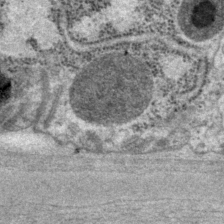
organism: P. pacificus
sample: Pharynx